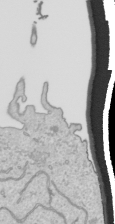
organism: Human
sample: Mitochondria in HCT116 cells